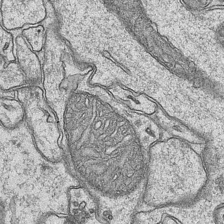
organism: Mouse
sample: CA1 Hippocampus